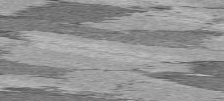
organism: C57BL Mouse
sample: Heart